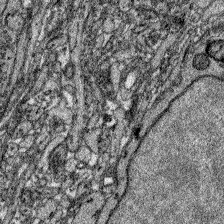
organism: Zebrafish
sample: Larval olfactory bulb